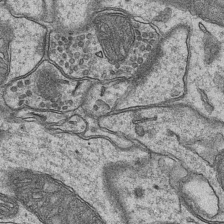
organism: Mouse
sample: CA1 Hippocampus